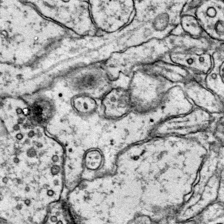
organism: Mouse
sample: Primary visual cortex